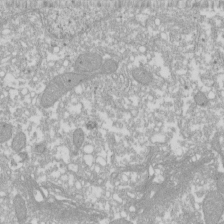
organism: Xenopus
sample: Cilia; centrioles in frog embryo cells